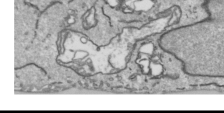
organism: Human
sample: Mitochondria in HCT116 cells